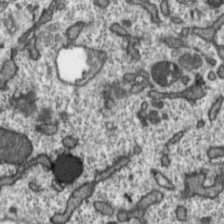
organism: Toxoplasma gondii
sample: Parasites in a vacuole inside a host cell